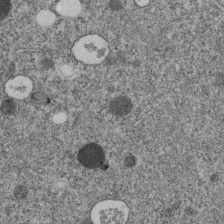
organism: C. elegans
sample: C. elegans embryo early stage